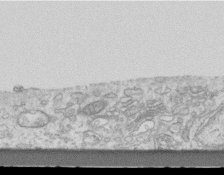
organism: Mouse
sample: Centriole in ependymal cells